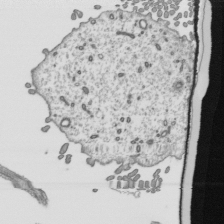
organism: Mouse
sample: Mouse epididymis efferent ductule cilia